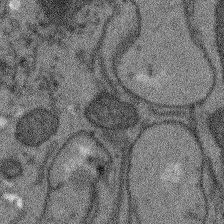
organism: Arabidopsis thaliana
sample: Root tip